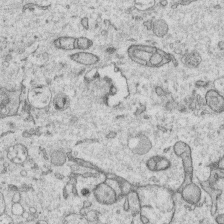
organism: Human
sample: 1205lu cells